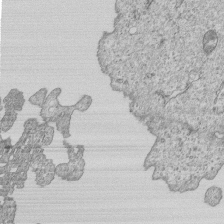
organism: Human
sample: MDA-MB-231 cells